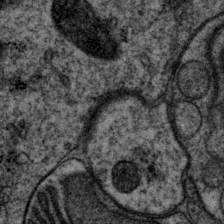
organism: P. pacificus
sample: Pharynx